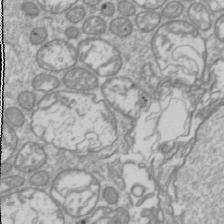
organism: Drosophila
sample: Cell division; meiosis; drosophila spermatocytes